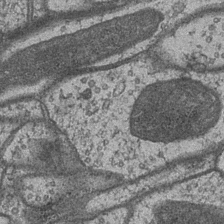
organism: Drosophila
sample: Optic medulla